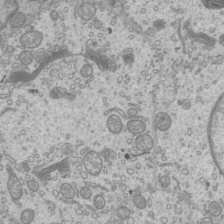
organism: Mouse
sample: Cilia; mouse epididymis